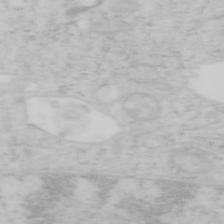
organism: Mouse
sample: OT-I killer T cells with ID8 ovarian cancer cells